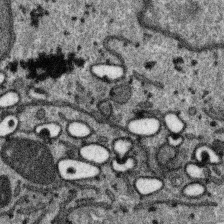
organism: Human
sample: Lung epithelial cells infected with SARS-CoV-2